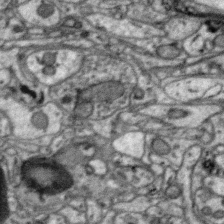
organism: Zebra finch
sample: Brain